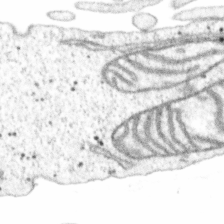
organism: Human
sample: HeLa cells